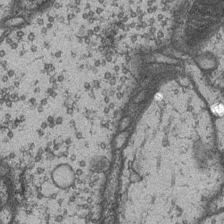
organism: Drosophila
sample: Optic medulla